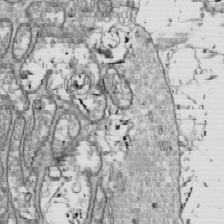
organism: Drosophila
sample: Cell division; meiosis; drosophila spermatocytes